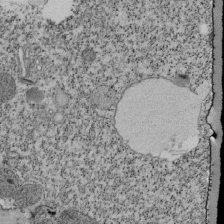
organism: Tetrahymena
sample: Cilia in tetrahymena